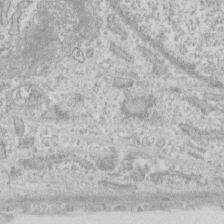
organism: Human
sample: Fibroblast cells